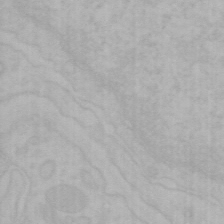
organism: Mouse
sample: Choroid plexus